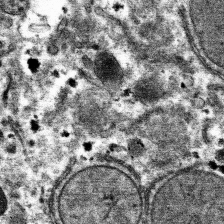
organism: Mouse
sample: Mouse hepatocytes